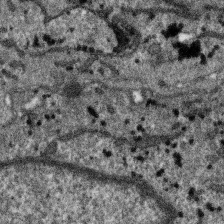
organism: Human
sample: Lung epithelial cells infected with SARS-CoV-2